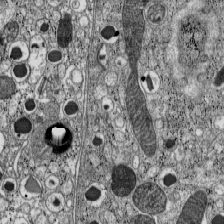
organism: C57BL Mouse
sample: Pancreatic islet